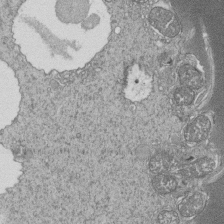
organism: Tetrahymena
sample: Cilia in tetrahymena